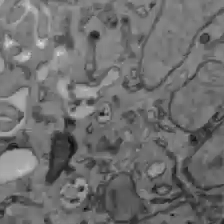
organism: C57BL Mouse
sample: Liver